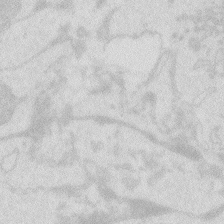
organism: Zebrafish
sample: Macrophage